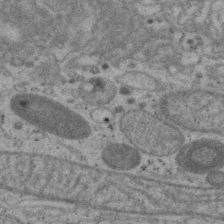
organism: Human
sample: HeLa cells